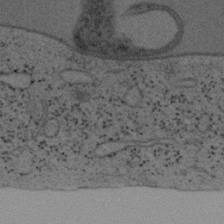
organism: Human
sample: HeLa cells